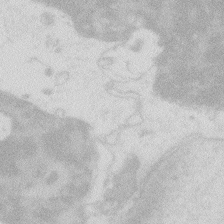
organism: Zebrafish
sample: Macrophage